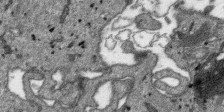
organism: Human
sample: Lung epithelial cells, uninfected (mock) control